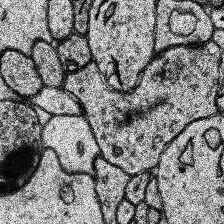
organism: Human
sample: Temporal Lobe